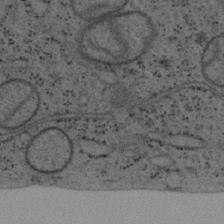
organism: Human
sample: HeLa cells